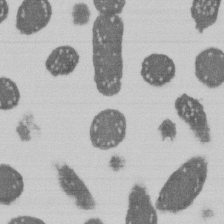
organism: E. coli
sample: Bacterial nucleoid